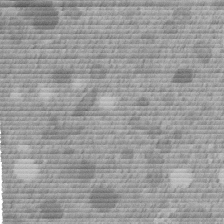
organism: C. elegans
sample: C. elegans embryo early stage